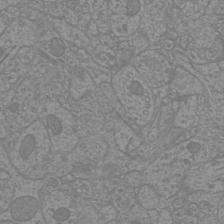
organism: Mouse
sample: Cortical neurons